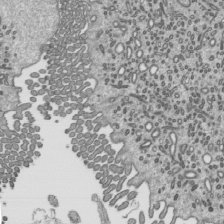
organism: Mouse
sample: Mouse epididymis efferent ductule cilia